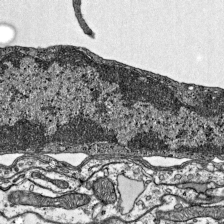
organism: Mouse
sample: Visual Cortex